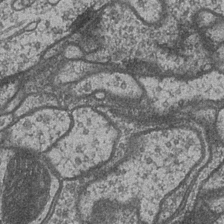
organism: Drosophila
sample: Optic medulla